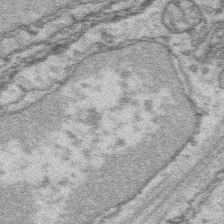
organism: Platynereis dumerilii